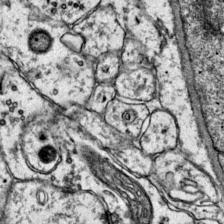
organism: Mouse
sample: Primary visual cortex